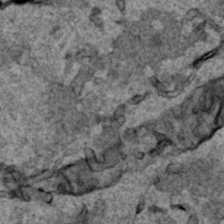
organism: Human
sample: Mitochondria in HCT116 cells